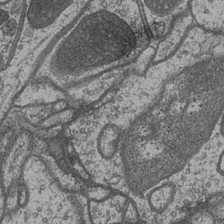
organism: Drosophila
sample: Optic medulla